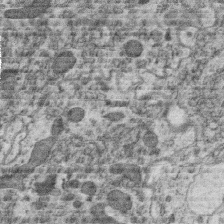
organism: C. elegans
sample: C. elegans oocyte; sperm cells